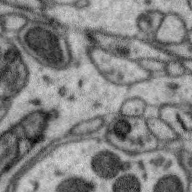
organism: Zebra finch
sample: Brain